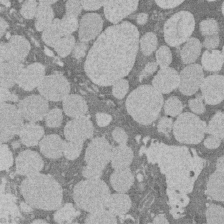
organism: Rat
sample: Salivary granule